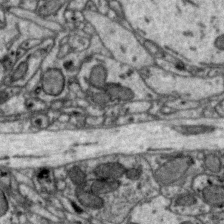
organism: Zebra finch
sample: Brain